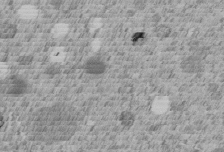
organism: C. elegans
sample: C. elegans embryo early stage